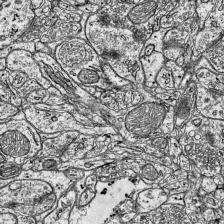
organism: Mouse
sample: Visual Cortex